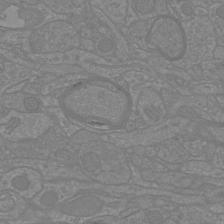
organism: Mouse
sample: Cortical neurons